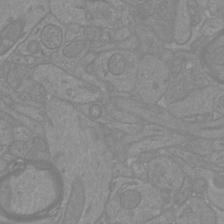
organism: Mouse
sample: Cortical neurons